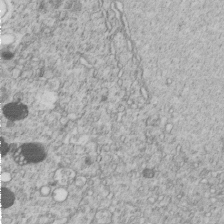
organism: C. elegans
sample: C. elegans embryo early stage